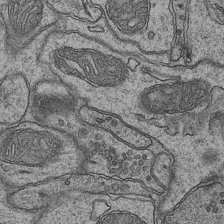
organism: Mouse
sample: CA1 Hippocampus